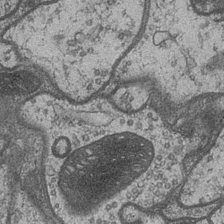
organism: Drosophila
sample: Optic medulla